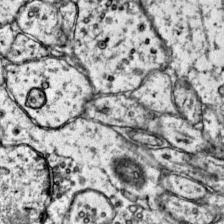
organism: Mouse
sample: Primary visual cortex